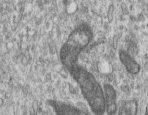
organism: Human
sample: Centriole in RPE cells